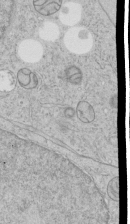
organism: Human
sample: Mitochondria in HCT116 cells